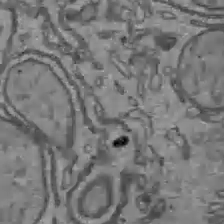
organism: C57BL Mouse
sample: Liver